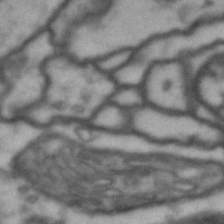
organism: Drosophila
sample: Brain